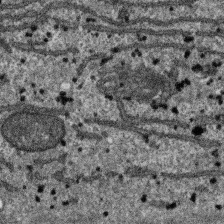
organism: Human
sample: Lung epithelial cells infected with SARS-CoV-2